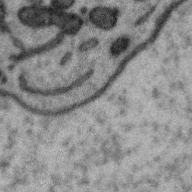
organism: Zebra finch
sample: Brain